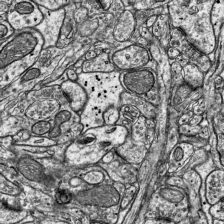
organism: Mouse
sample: Visual Cortex